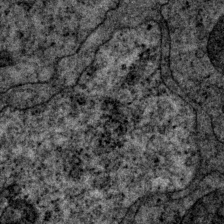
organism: P. pacificus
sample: Pharynx